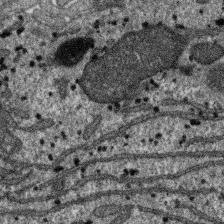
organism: Human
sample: Lung epithelial cells infected with SARS-CoV-2